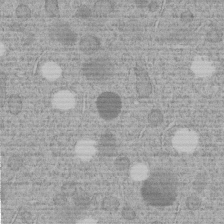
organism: C. elegans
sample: C. elegans embryo early stage